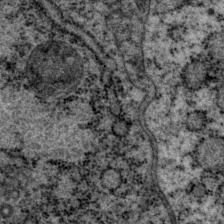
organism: P. pacificus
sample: Pharynx